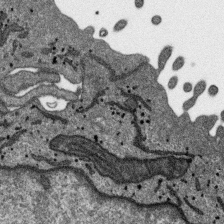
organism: Human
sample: Lung epithelial cells, uninfected (mock) control